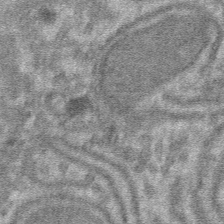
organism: Mouse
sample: Mouse hepatocytes